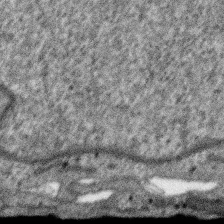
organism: Human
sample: Lung epithelial cells infected with SARS-CoV-2